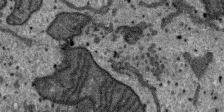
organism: Human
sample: Lung epithelial cells, uninfected (mock) control